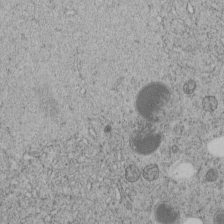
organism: C. elegans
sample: C. elegans embryo early stage